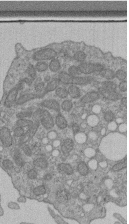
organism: Human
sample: Retinal organoid Rod and Cone cells